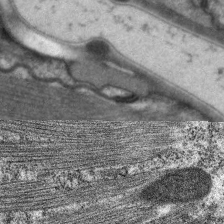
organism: C. elegans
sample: Pharynx